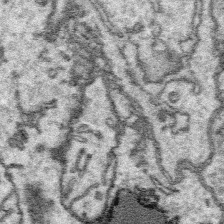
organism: Platynereis dumerilii